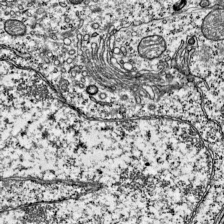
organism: Mouse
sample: Visual Cortex